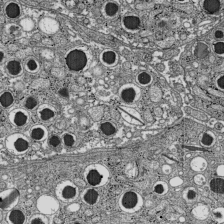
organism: C57BL Mouse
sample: Pancreatic islet